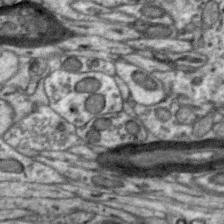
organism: Zebra finch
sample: Brain